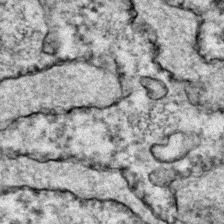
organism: Zebrafish